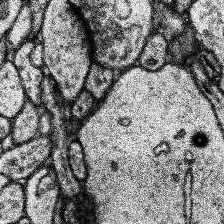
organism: Human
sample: Temporal Lobe